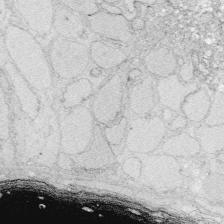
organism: Zebrafish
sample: Whole-Brain